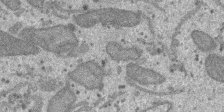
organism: Human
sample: Lung epithelial cells infected with SARS-CoV-2